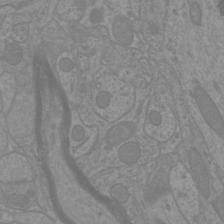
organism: Mouse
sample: Cortical neurons